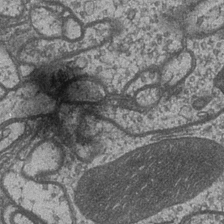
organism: Drosophila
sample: Optic medulla